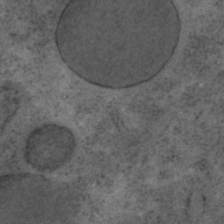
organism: C. elegans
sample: C. elegans embryo